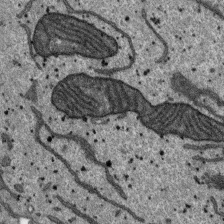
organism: Human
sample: Lung epithelial cells, uninfected (mock) control